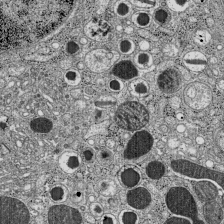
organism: C57BL Mouse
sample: Pancreatic islet